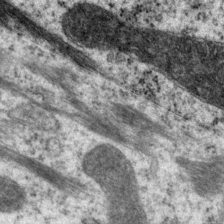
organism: P. pacificus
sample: Pharynx